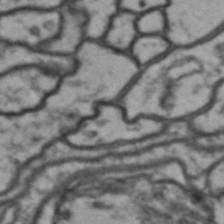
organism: Drosophila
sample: Brain